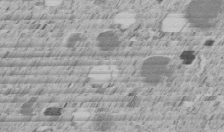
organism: C. elegans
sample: C. elegans embryo early stage